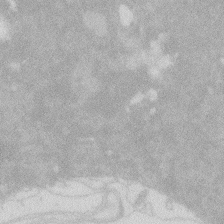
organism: Zebrafish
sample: Macrophage